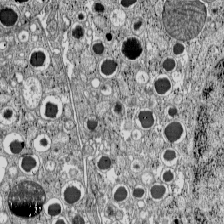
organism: C57BL Mouse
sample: Pancreatic islet